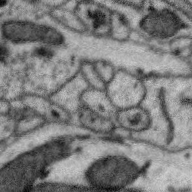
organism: Zebra finch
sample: Brain